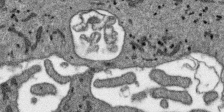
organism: Human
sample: Lung epithelial cells, uninfected (mock) control